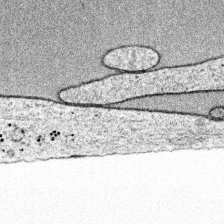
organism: Human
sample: HeLa cells